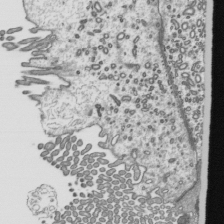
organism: Mouse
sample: Mouse epididymis efferent ductule cilia